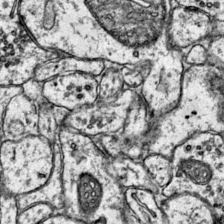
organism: Mouse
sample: Primary visual cortex